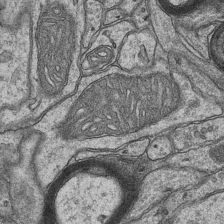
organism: Mouse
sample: CA1 Hippocampus